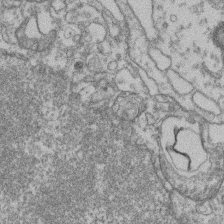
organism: Mouse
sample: T cell stromal cell synapse